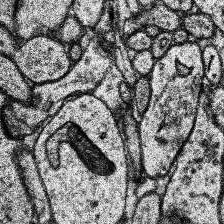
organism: Human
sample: Temporal Lobe